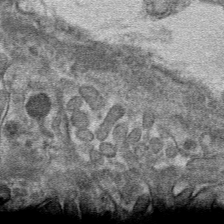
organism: Mouse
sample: Mouse hepatocytes